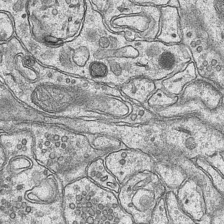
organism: Mouse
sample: CA1 Hippocampus